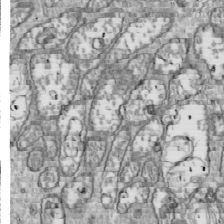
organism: Drosophila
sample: Cell division; meiosis; drosophila spermatocytes